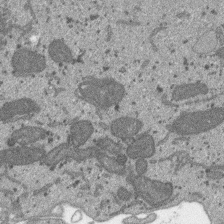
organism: Human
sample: Lung epithelial cells infected with SARS-CoV-2